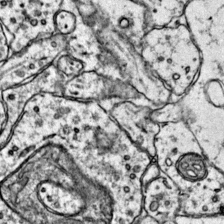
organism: Mouse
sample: Primary visual cortex